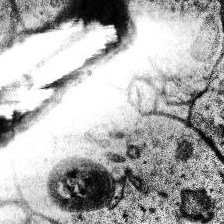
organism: Human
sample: Temporal Lobe